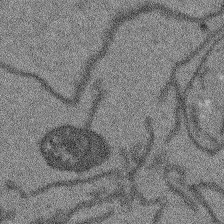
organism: Arabidopsis thaliana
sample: Root tip